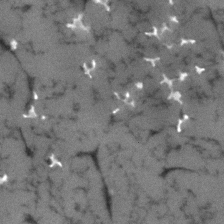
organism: Human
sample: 1205lu cells